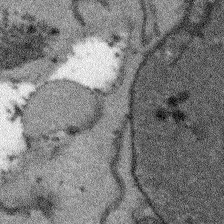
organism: Arabidopsis thaliana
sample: Root tip